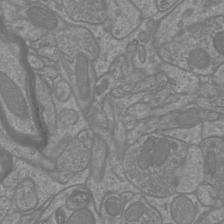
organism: Mouse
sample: Cortical neurons